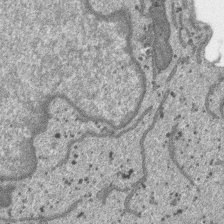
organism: Human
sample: Lung epithelial cells infected with SARS-CoV-2